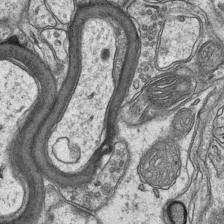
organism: Mouse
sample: CA1 Hippocampus